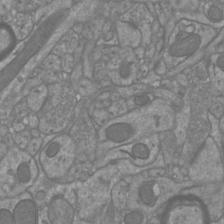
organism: Mouse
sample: Cortical neurons